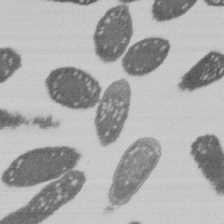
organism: E. coli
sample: Bacterial nucleoid